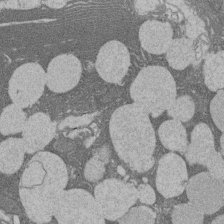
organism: Rat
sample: Salivary granule